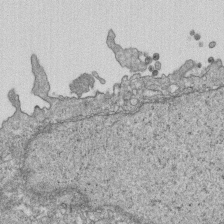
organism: Human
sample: HeLa cell HIV synapse